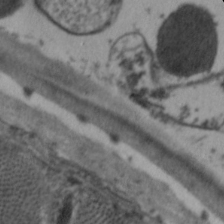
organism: C. elegans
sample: Pharynx